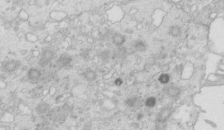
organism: Mouse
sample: Multiciliated cells